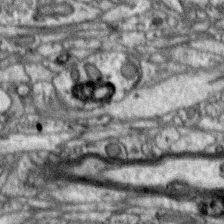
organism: Zebra finch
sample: Brain